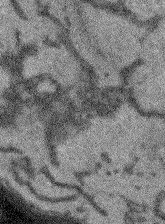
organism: Arabidopsis thaliana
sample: Root tip